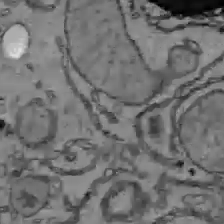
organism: C57BL Mouse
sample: Liver